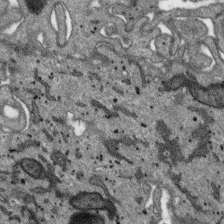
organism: Human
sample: Lung epithelial cells, uninfected (mock) control